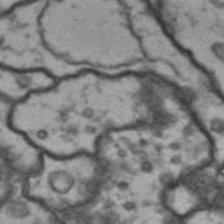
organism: Drosophila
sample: Brain